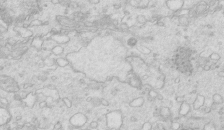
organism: Mouse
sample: Multiciliated cells